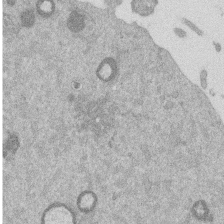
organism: Mouse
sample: Dividing mouse embryo 1 cell stage